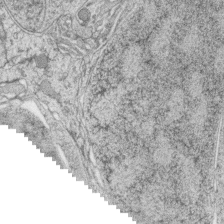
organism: Zebrafish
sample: synaptic ribbons in rod cells and cone cells